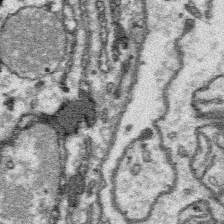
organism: Platynereis dumerilii